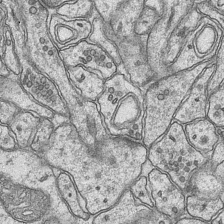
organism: Mouse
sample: CA1 Hippocampus